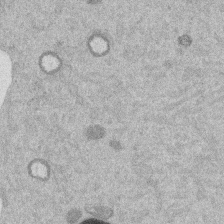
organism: Mouse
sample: Dividing mouse embryo 1 cell stage